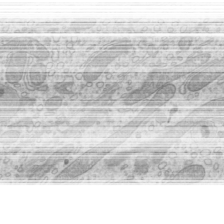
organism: Mouse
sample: Cilia; mouse epididymis